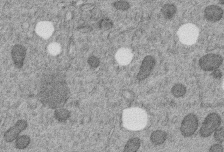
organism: C. elegans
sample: C. elegans embryo early stage